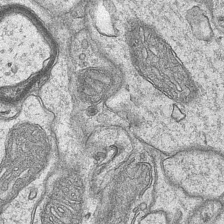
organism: Mouse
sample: CA1 Hippocampus